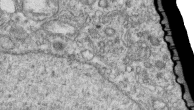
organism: Human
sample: HeLa cell HIV synapse